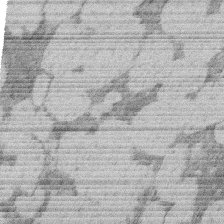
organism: Rat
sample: Salivary granule